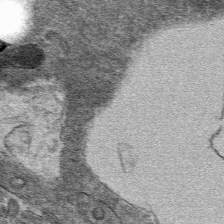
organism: Mouse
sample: Mouse hepatocytes